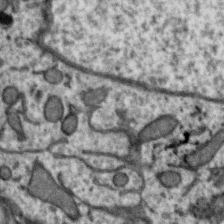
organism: Zebra finch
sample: Brain